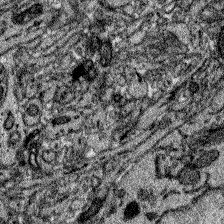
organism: Zebrafish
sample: Larval olfactory bulb